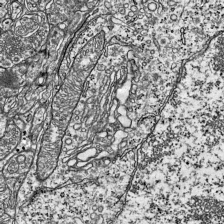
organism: Mouse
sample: Visual Cortex